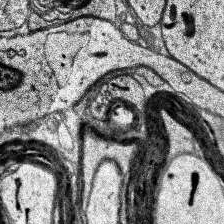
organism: Human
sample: Temporal Lobe